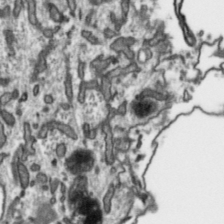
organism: Toxoplasma gondii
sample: Parasites in a vacuole inside a host cell